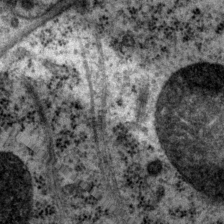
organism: P. pacificus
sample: Pharynx